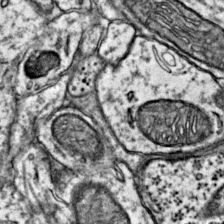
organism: Mouse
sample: Primary visual cortex